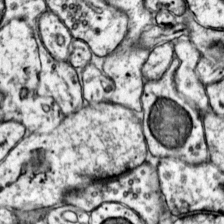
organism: Mouse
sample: Primary visual cortex